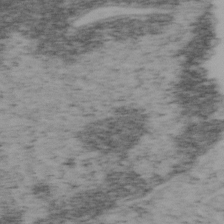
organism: Mouse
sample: OT-I killer T cells with ID8 ovarian cancer cells